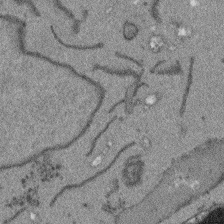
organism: Arabidopsis thaliana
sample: Root tip